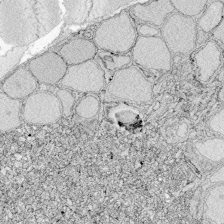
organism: Zebrafish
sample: Whole-Brain